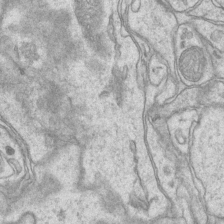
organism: Mouse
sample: CA1 Hippocampus